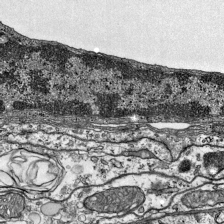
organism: Mouse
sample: Visual Cortex